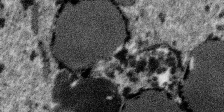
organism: Human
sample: Lung epithelial cells infected with SARS-CoV-2